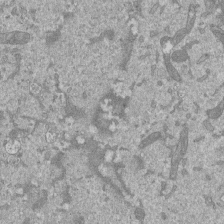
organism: Mouse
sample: ED-1 cell nuclei; centrioles